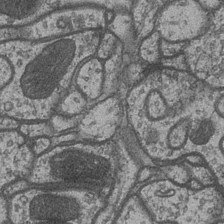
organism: Drosophila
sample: Optic medulla